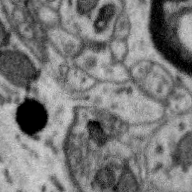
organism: Zebra finch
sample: Brain